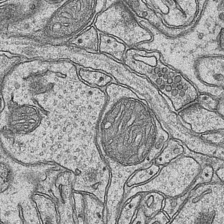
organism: Mouse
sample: CA1 Hippocampus